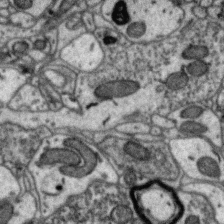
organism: Zebra finch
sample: Brain